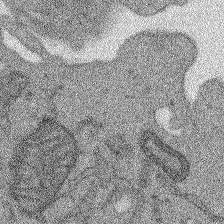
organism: Human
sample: HeLa cells